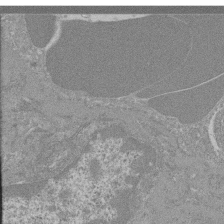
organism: Mouse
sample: Glomerulus